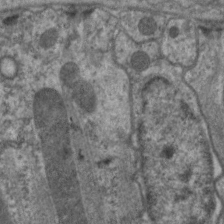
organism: C. elegans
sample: Pharynx